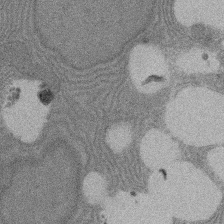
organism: Rat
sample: Salivary granule